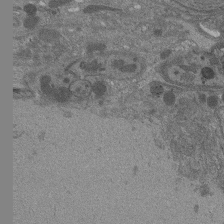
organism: Drosophila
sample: Antenna